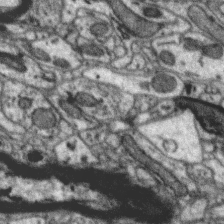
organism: Zebra finch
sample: Brain